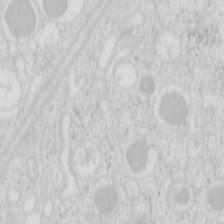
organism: Mouse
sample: Pancreas